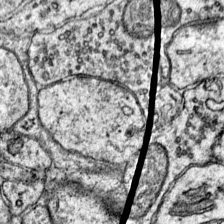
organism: Mouse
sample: Primary visual cortex